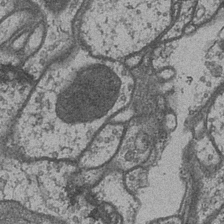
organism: Drosophila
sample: Optic medulla